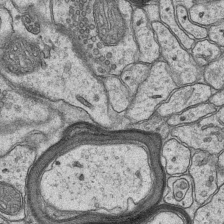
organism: Mouse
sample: CA1 Hippocampus